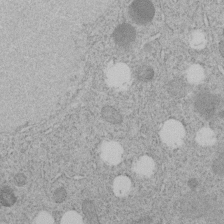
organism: C. elegans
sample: C. elegans embryo early stage